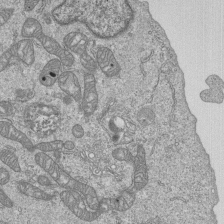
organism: Human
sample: MDA-MB-231 cells